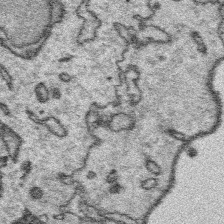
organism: Platynereis dumerilii